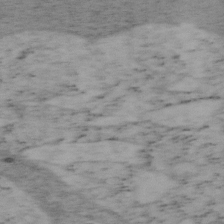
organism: Mouse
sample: OT-I killer T cells with ID8 ovarian cancer cells